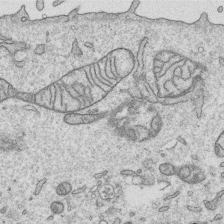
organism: Human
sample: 1205lu cells